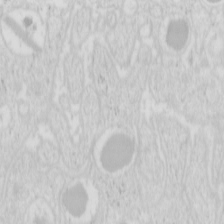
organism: Mouse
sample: Pancreas